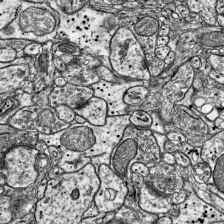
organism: Mouse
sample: Visual Cortex